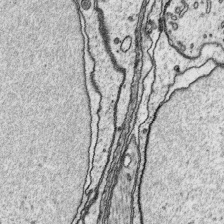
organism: Platynereis dumerilii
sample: Parapodia